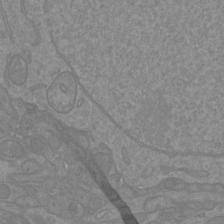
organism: Mouse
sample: Cortical neurons